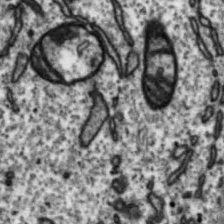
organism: Human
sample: HeLa cells